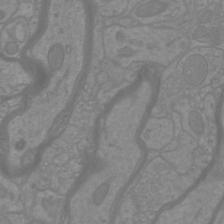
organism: Mouse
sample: Cortical neurons